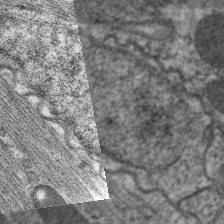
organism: C. elegans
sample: Pharynx